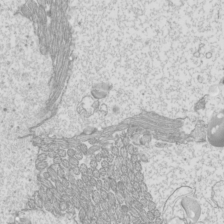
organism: Mouse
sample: Cilia; mouse epididymis